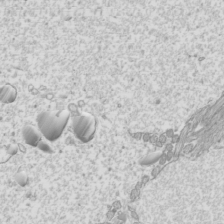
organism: Mouse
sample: Cilia; mouse epididymis